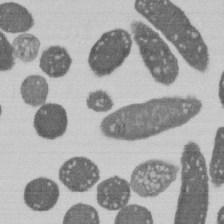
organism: E. coli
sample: Bacterial nucleoid